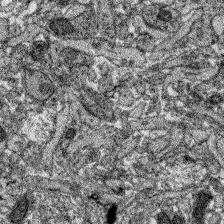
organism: Zebrafish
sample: Larval olfactory bulb